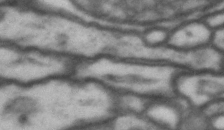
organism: Drosophila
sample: Brain